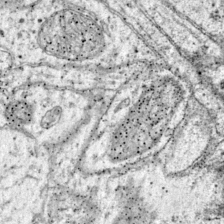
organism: Mouse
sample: Primary visual cortex